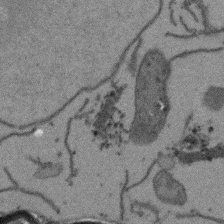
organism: Arabidopsis thaliana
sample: Root tip